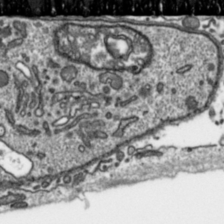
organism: Toxoplasma gondii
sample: Parasites in a vacuole inside a host cell